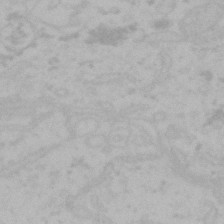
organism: Mouse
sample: Choroid plexus